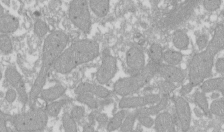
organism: Xenopus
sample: Cilia; centrioles in frog embryo cells